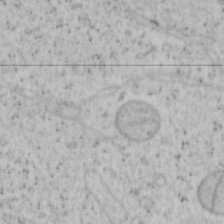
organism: Human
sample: HeLa cells